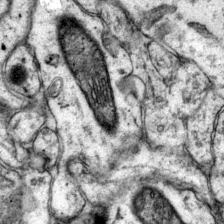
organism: Mouse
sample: Primary visual cortex